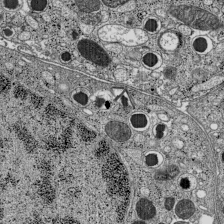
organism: C57BL Mouse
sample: Pancreatic islet